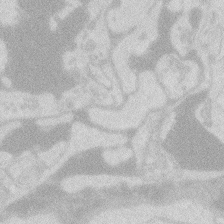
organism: Zebrafish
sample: Macrophage